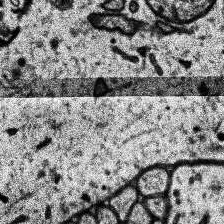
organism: Human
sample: Temporal Lobe